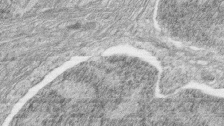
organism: Zebrafish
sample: synaptic ribbons in rod cells and cone cells